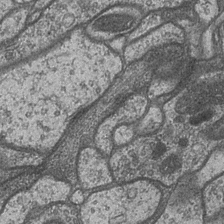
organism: Drosophila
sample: Optic medulla